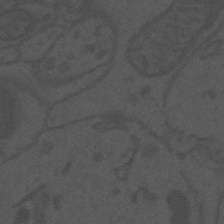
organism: Mouse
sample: Suprachiasmatic nucleus